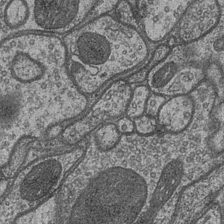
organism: Drosophila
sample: Optic medulla